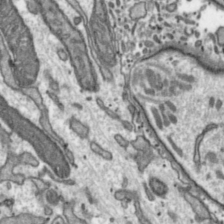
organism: Toxoplasma gondii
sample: Parasites in a vacuole inside a host cell